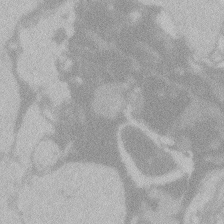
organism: Zebrafish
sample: Macrophage infected with Toxoplasma gondii